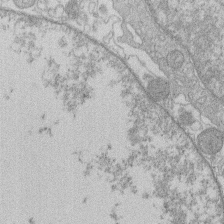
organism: Human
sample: Macrophage cells